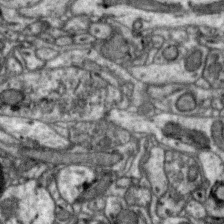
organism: Zebra finch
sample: Brain